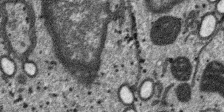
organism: Human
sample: Lung epithelial cells infected with SARS-CoV-2